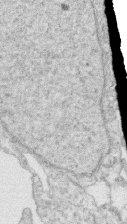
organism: Human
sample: HeLa cell HIV synapse